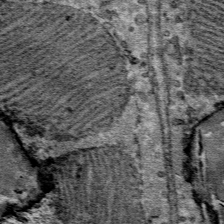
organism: Mouse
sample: Mouse Salivary gland